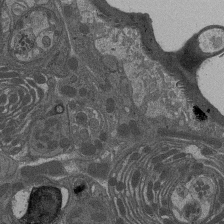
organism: Drosophila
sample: Antenna